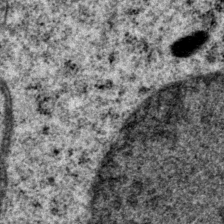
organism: P. pacificus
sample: Pharynx